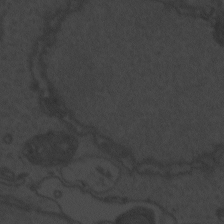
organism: Zebrafish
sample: Macrophage infected with Toxoplasma gondii